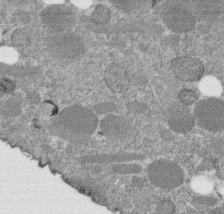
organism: C. elegans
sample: C. elegans embryo early stage